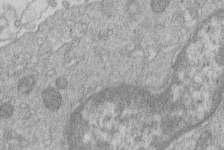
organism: Human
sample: Macrophage cells